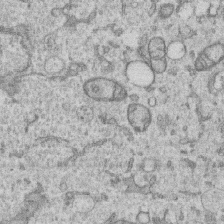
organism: Human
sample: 1205lu cells